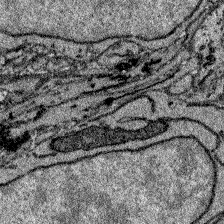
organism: Zebrafish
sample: Larval olfactory bulb